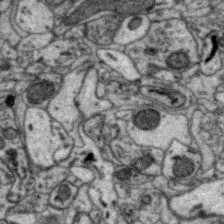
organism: Zebra finch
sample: Brain